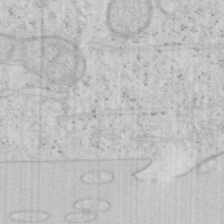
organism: Human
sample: HeLa cells